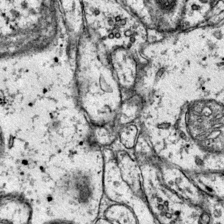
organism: Mouse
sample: Primary visual cortex